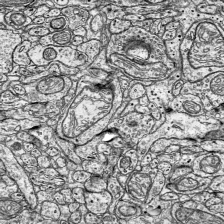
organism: Mouse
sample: Visual Cortex